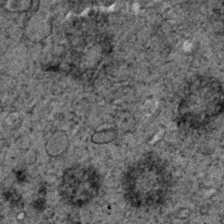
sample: Trachea